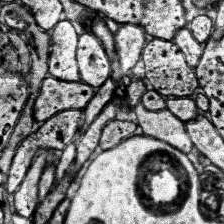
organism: Human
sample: Temporal Lobe